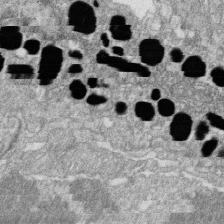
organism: Zebrafish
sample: Cilia; retinal pigment epithelium